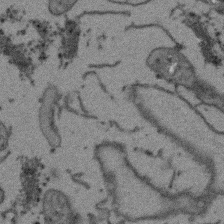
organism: Arabidopsis thaliana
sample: Root tip